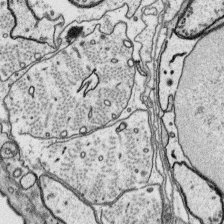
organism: Platynereis dumerilii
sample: Parapodia